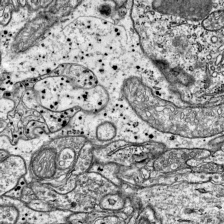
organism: Mouse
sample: Visual Cortex